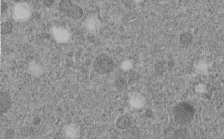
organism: C. elegans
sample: C. elegans embryo early stage